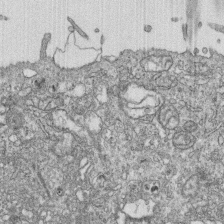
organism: Human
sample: HeLa cell HIV synapse